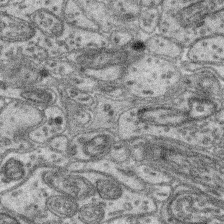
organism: Mouse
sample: Retina